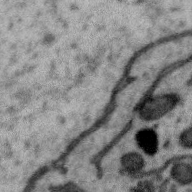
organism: Zebra finch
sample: Brain